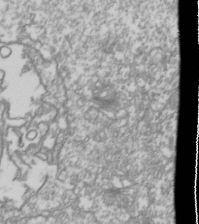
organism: Drosophila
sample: Cell division; meiosis; drosophila spermatocytes